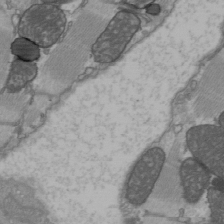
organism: C57BL Mouse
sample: Heart